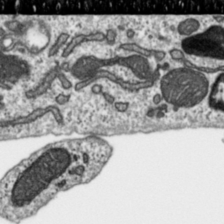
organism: Toxoplasma gondii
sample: Parasites in a vacuole inside a host cell